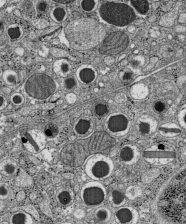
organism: C57BL Mouse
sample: Pancreatic islet